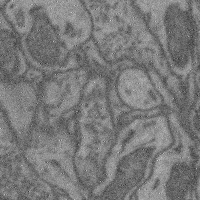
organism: Mouse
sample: Cerebral cortex